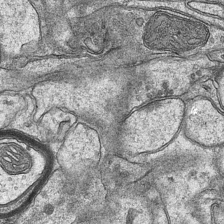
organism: Mouse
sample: CA1 Hippocampus